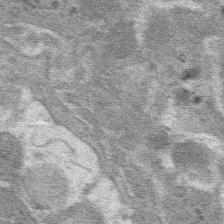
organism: Mouse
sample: Mouse hepatocytes